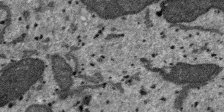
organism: Human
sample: Lung epithelial cells, uninfected (mock) control